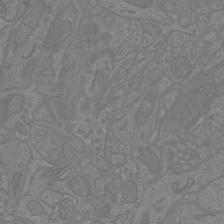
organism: Mouse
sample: Cortical neurons